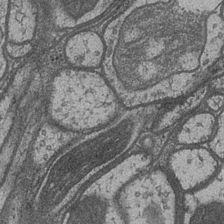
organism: Drosophila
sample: Optic medulla